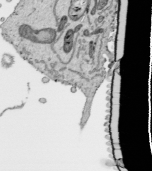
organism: Human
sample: Mitochondria in HCT116 cells